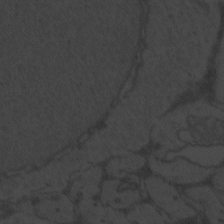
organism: Zebrafish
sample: Macrophage infected with Toxoplasma gondii